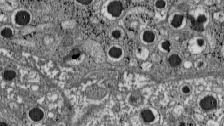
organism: C57BL Mouse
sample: Pancreatic islet